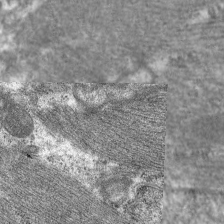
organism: C. elegans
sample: Pharynx